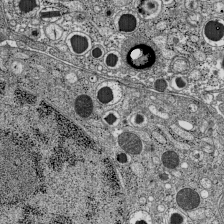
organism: C57BL Mouse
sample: Pancreatic islet